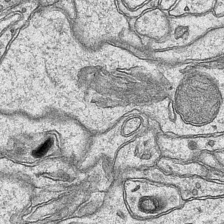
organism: Mouse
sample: CA1 Hippocampus